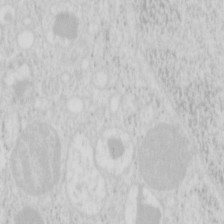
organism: Mouse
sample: Pancreas